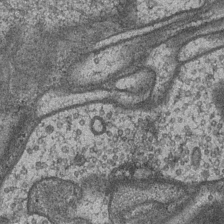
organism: Drosophila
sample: Optic medulla